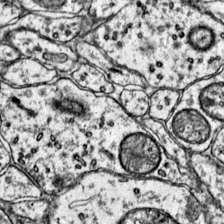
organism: Mouse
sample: Primary visual cortex